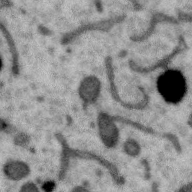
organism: Zebra finch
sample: Brain